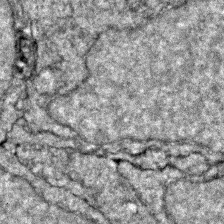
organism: Zebrafish